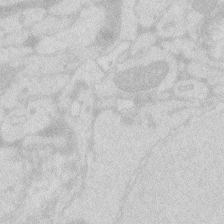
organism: Zebrafish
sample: Macrophage